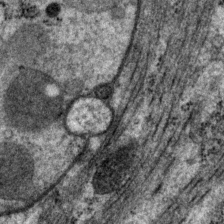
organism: P. pacificus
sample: Pharynx